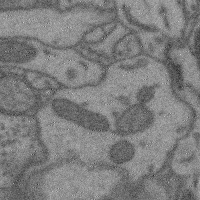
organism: Mouse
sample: Cerebral cortex